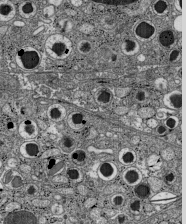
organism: C57BL Mouse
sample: Pancreatic islet